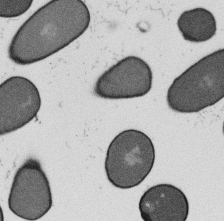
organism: B. subtilis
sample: Bacterial spore